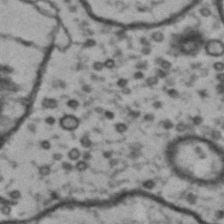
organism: Drosophila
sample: Brain